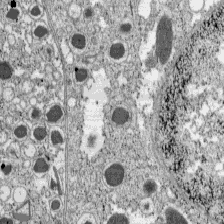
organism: C57BL Mouse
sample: Pancreatic islet